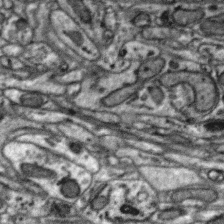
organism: Zebra finch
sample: Brain